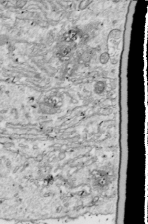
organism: Drosophila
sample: Cell division; meiosis; drosophila spermatocytes